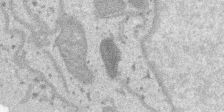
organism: Human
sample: Lung epithelial cells infected with SARS-CoV-2